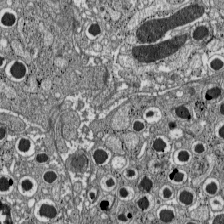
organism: C57BL Mouse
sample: Pancreatic islet